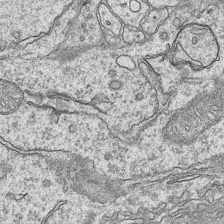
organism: Mouse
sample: CA1 Hippocampus